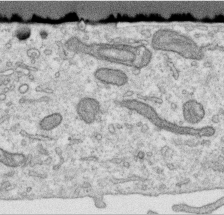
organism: Human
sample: Centriole in RPE cells